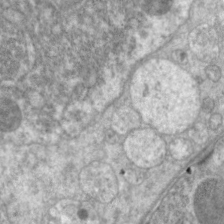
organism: C. elegans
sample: Pharynx